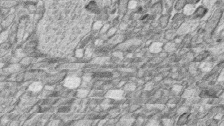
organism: Zebrafish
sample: synaptic ribbons in rod cells and cone cells